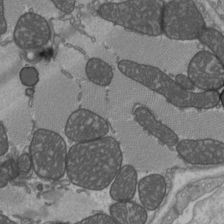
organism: C57BL Mouse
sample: Heart